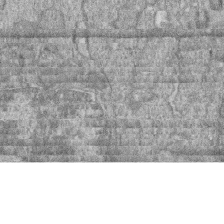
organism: Zebrafish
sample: Cilia; retinal pigment epithelium